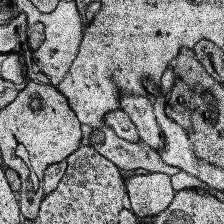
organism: Human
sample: Temporal Lobe